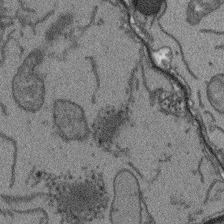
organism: Arabidopsis thaliana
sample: Root tip